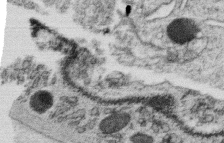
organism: C. elegans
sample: C. elegans oocyte; sperm cells